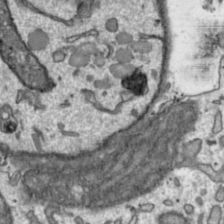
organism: Toxoplasma gondii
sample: Parasites in a vacuole inside a host cell